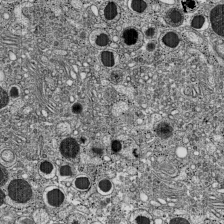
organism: C57BL Mouse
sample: Pancreatic islet